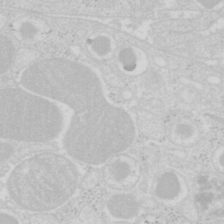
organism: Mouse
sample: Pancreas